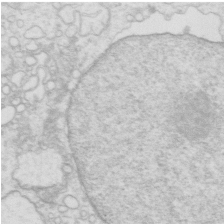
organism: Mouse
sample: Multiciliated cells